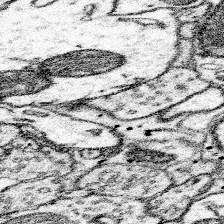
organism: Mouse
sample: Somatosensory cortex neuropil